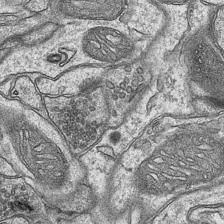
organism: Mouse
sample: CA1 Hippocampus